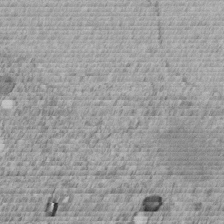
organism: C. elegans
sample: C. elegans embryo early stage